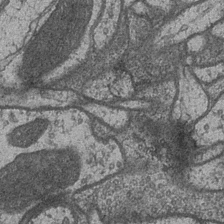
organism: Drosophila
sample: Optic medulla